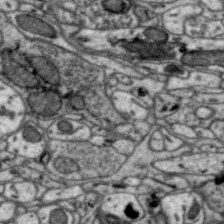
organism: Zebra finch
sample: Brain